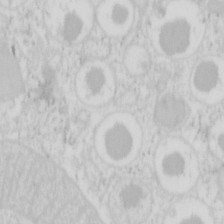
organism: Mouse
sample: Pancreas